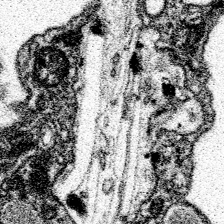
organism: Spongilla lacustris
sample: Neuroid cell